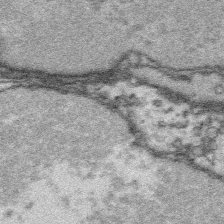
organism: Platynereis dumerilii